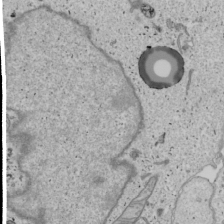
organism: Human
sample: Mitochondria in U2OS cells